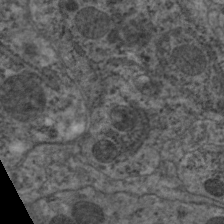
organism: C. elegans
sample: Pharynx